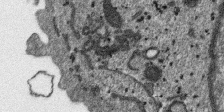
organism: Human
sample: Lung epithelial cells infected with SARS-CoV-2